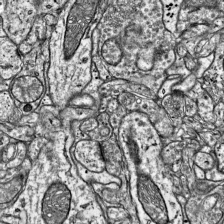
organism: Mouse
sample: Visual Cortex